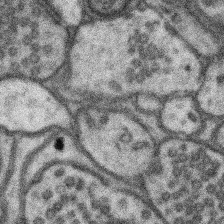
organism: Mouse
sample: Somatosensory cortex neuropil